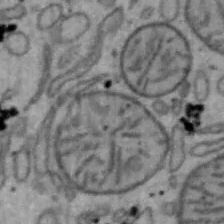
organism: Mouse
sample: Liver